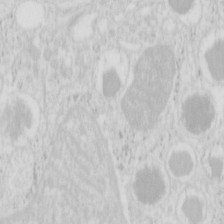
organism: Mouse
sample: Pancreas